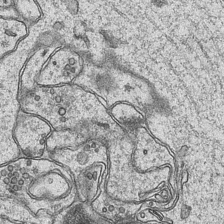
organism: Mouse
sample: CA1 Hippocampus